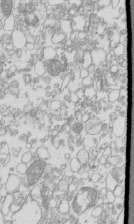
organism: Mouse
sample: Macrophages